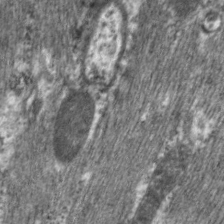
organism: C. elegans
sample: Pharynx